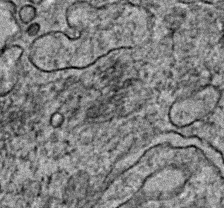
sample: Trachea